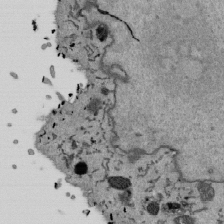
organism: Mouse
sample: ED-1 cell nuclei; centrioles